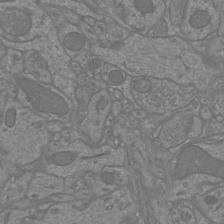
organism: Mouse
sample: Cortical neurons